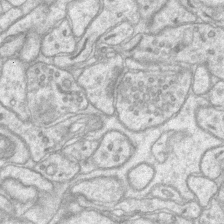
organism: Mouse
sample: CA1 Hippocampus